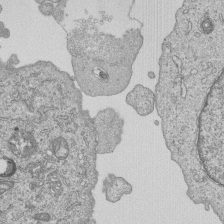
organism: Human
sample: MDA-MB-231 cells